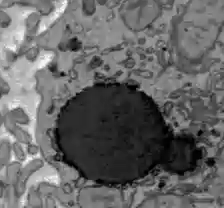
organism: C57BL Mouse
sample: Liver